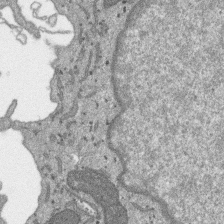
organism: Human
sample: Lung epithelial cells infected with SARS-CoV-2